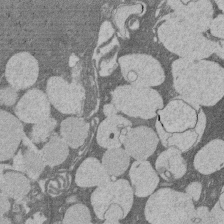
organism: Rat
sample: Salivary granule